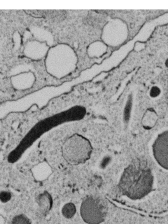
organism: C. elegans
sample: C. elegans embryo early stage